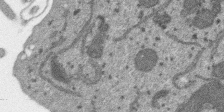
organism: Human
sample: Lung epithelial cells infected with SARS-CoV-2